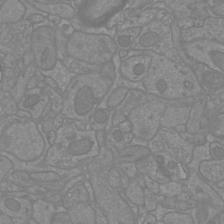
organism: Mouse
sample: Cortical neurons